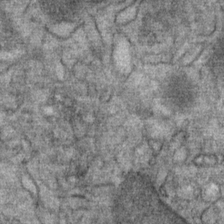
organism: Mouse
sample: Mouse Salivary gland